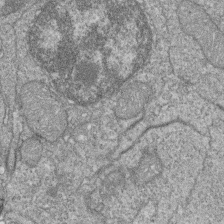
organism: Zebrafish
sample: Cilia; retinal pigment epithelium